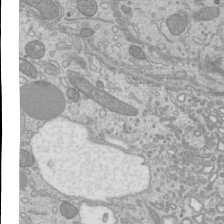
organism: Mouse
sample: Cilia; mouse epididymis